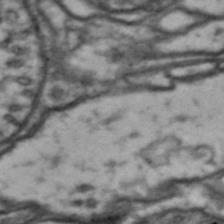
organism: Drosophila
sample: Brain